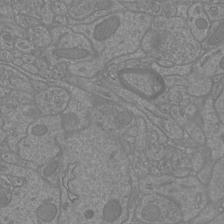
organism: Mouse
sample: Cortical neurons